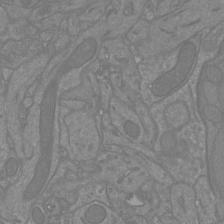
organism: Mouse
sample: Cortical neurons